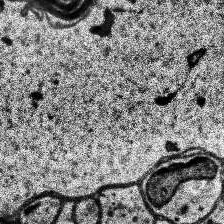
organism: Human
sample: Temporal Lobe